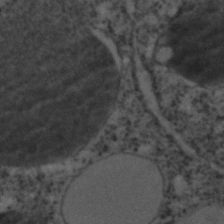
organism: C. elegans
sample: C. elegans embryo